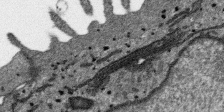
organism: Human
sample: Lung epithelial cells, uninfected (mock) control